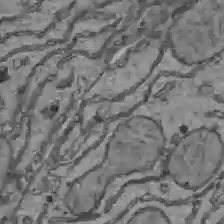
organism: C57BL Mouse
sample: Liver